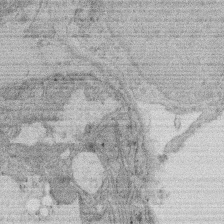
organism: Rat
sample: Salivary granule